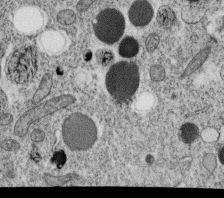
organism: C. elegans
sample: C. elegans oocyte; sperm cells